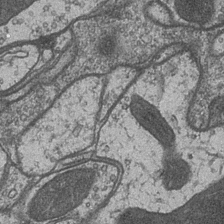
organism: Drosophila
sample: Optic medulla